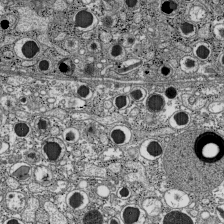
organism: C57BL Mouse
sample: Pancreatic islet